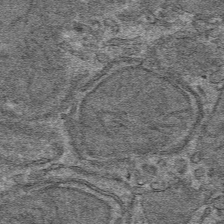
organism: Mouse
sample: Mouse hepatocytes